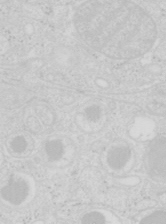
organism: Mouse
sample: Pancreas